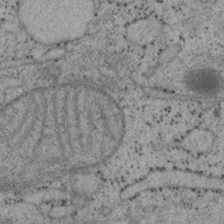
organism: Human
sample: HeLa cells